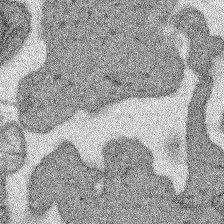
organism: Human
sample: HeLa cells